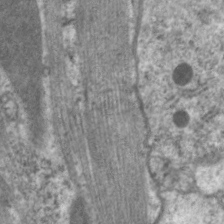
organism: C. elegans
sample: Pharynx